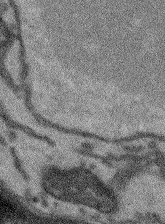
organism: Arabidopsis thaliana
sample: Root tip